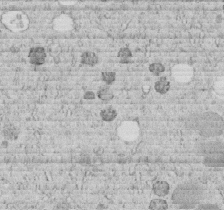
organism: C. elegans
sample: C. elegans embryo early stage